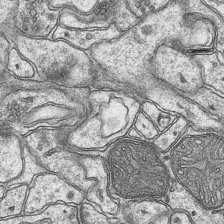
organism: Mouse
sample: CA1 Hippocampus